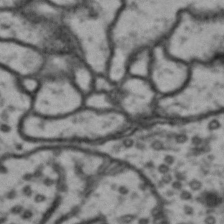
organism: Drosophila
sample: Brain